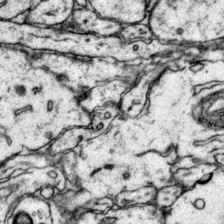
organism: Mouse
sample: Primary visual cortex